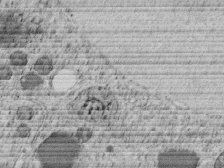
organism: C. elegans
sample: C. elegans embryo early stage